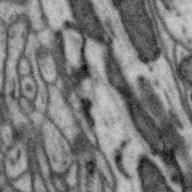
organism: Zebra finch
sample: Brain